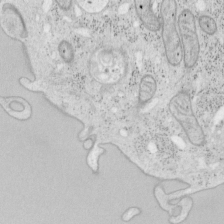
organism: Mouse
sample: OT-I killer T cells with ID8 ovarian cancer cells